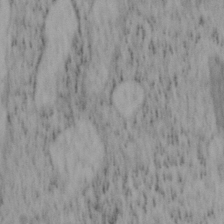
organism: Mouse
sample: OT-I killer T cells with ID8 ovarian cancer cells